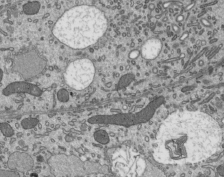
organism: Mouse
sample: Mouse epididymis efferent ductule cilia